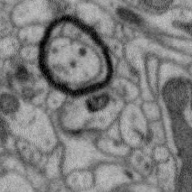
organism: Zebra finch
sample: Brain